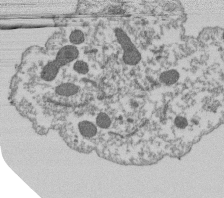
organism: Dictyostelium discoideum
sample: Dictyostelium multivesicular bodies